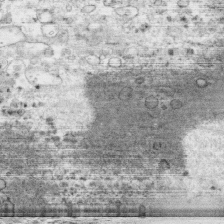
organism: Human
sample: CRL-1474